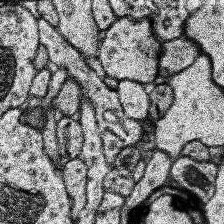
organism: Human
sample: Temporal Lobe